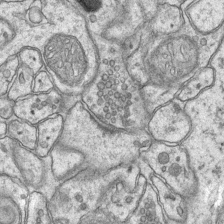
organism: Mouse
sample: CA1 Hippocampus